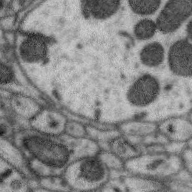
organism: Zebra finch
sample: Brain